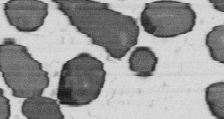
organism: B. subtilis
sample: Bacterial spore